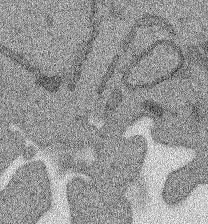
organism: Human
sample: HeLa cells